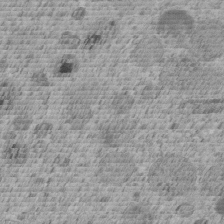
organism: C. elegans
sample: C. elegans embryo early stage